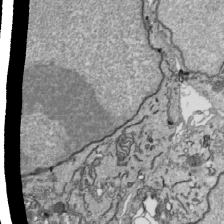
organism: Human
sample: Mitochondria in HCT116 cells